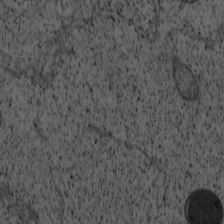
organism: African green monkey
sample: COS-7 cells